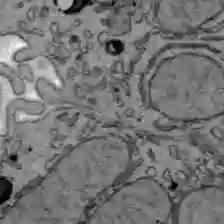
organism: C57BL Mouse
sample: Liver